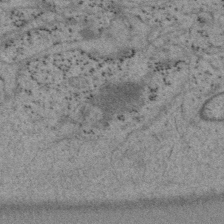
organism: Human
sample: HeLa cells